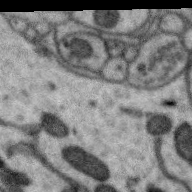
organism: Zebra finch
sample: Brain